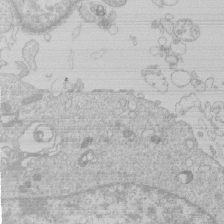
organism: Human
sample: Macrophage cells